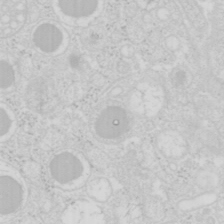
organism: Mouse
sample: Pancreas